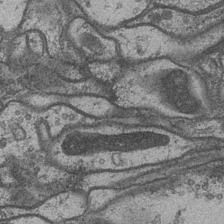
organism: Drosophila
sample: Optic medulla